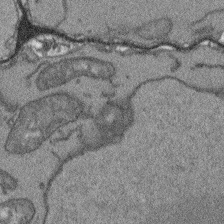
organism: Arabidopsis thaliana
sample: Root tip